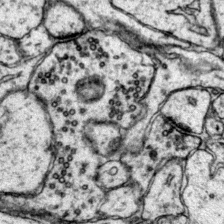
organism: Mouse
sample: Primary visual cortex